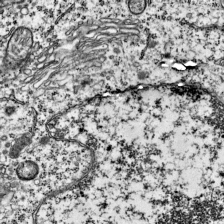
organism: Mouse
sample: Visual Cortex